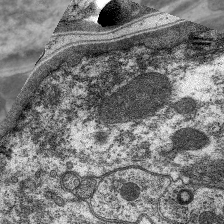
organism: C. elegans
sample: Pharynx